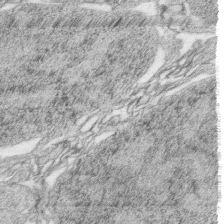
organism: Zebrafish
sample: synaptic ribbons in rod cells and cone cells